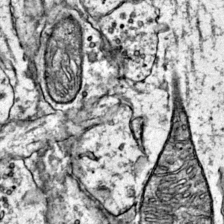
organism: Mouse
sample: Primary visual cortex